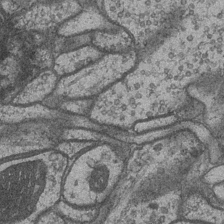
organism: Drosophila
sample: Optic medulla